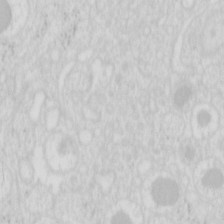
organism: Mouse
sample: Pancreas